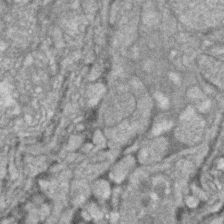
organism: Zebrafish